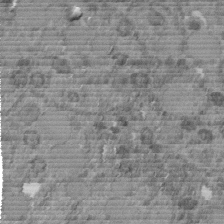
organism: C. elegans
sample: C. elegans embryo early stage